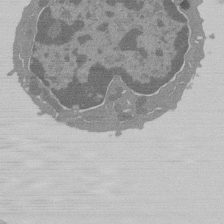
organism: Mouse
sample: Activated Pmel transgenic CD8+ T Cells